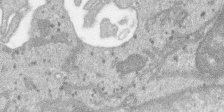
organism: Human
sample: Lung epithelial cells infected with SARS-CoV-2